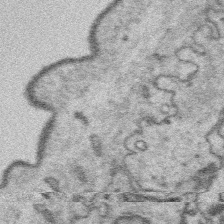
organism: Platynereis dumerilii